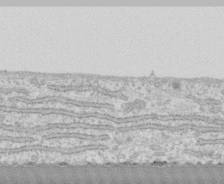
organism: Human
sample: CRL-1474